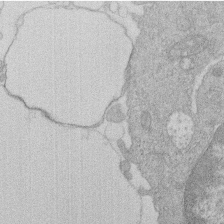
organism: Human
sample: Macrophage cells